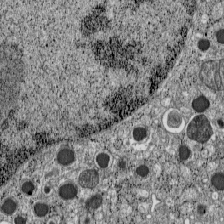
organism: C57BL Mouse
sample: Pancreatic islet